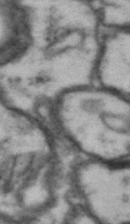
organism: Drosophila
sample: Brain